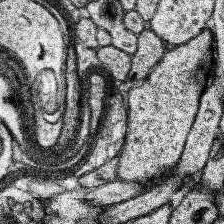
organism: Human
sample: Temporal Lobe